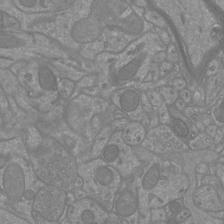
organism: Mouse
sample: Cortical neurons